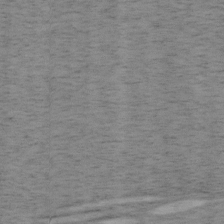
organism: Mouse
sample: OT-I killer T cells with ID8 ovarian cancer cells